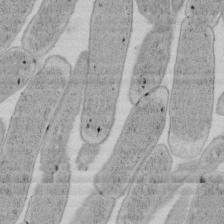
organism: E. coli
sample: Bacterial nucleoid